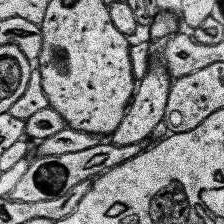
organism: Human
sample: Temporal Lobe